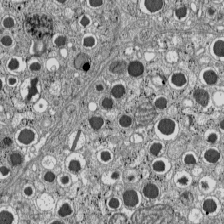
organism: C57BL Mouse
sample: Pancreatic islet